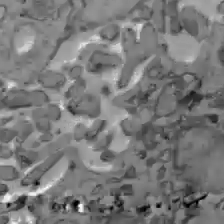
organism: C57BL Mouse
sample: Liver